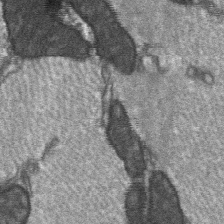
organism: C57BL Mouse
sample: Soleus